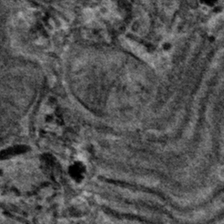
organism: Mouse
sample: Mouse hepatocytes